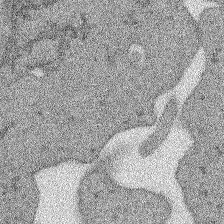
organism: Human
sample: HeLa cells